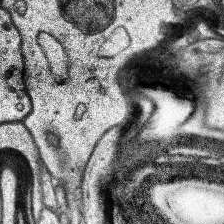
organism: Human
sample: Temporal Lobe